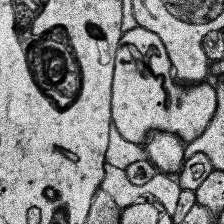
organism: Human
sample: Temporal Lobe